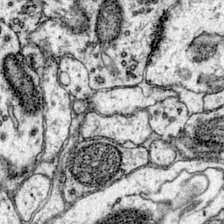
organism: Mouse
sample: Primary visual cortex